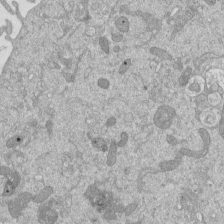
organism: Mouse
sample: ED-1 cell nuclei; centrioles